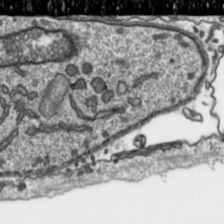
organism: Toxoplasma gondii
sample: Parasites in a vacuole inside a host cell